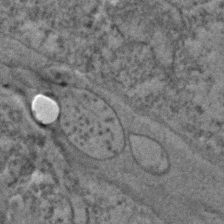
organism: C. elegans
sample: C. elegans embryo